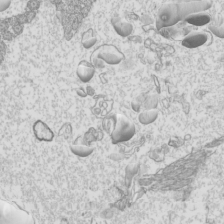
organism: Mouse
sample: Cilia; mouse epididymis